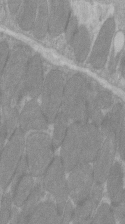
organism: C57BL Mouse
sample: Tibialis anterior muscle cell